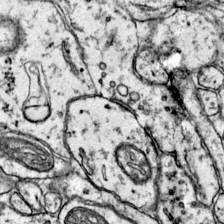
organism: Mouse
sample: Primary visual cortex